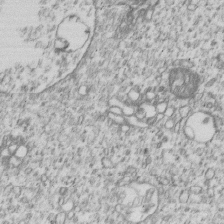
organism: Human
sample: MDA-MB-231 cells